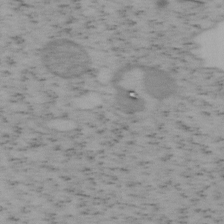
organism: Mouse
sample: OT-I killer T cells with ID8 ovarian cancer cells